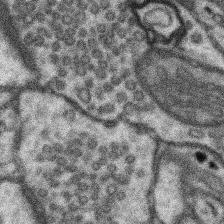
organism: Mouse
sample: Somatosensory cortex neuropil